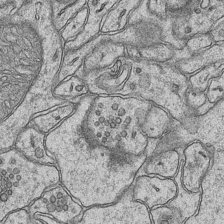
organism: Mouse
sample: CA1 Hippocampus